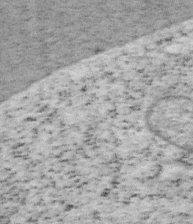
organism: Mouse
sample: OT-I killer T cells with ID8 ovarian cancer cells